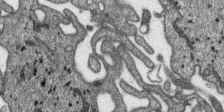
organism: Human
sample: Lung epithelial cells infected with SARS-CoV-2